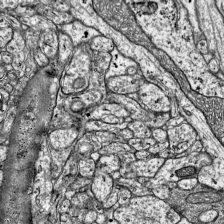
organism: Mouse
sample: Visual Cortex